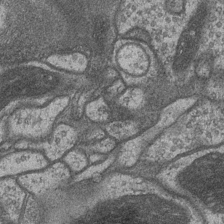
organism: Drosophila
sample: Optic medulla